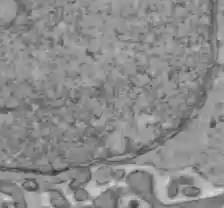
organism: C57BL Mouse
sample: Liver